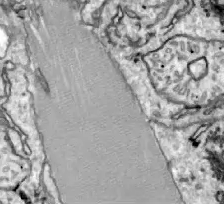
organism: Zebrafish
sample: Actinotrichia fibers